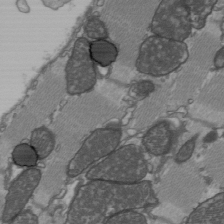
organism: C57BL Mouse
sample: Heart